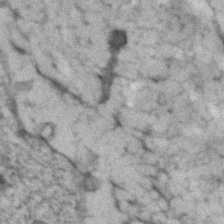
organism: Human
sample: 1205lu cells